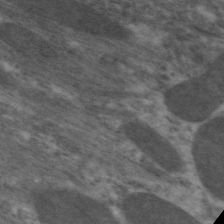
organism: C. elegans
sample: Pharynx